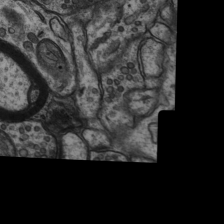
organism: Rat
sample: Hippocampus